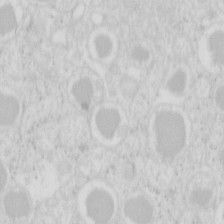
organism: Mouse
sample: Pancreas